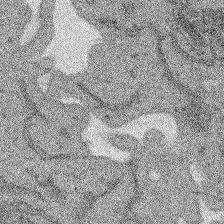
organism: Human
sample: HeLa cells